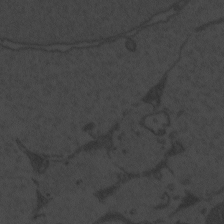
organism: Zebrafish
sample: Macrophage infected with Toxoplasma gondii